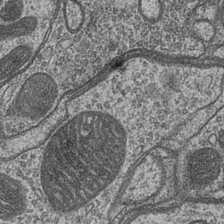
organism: Drosophila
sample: Optic medulla